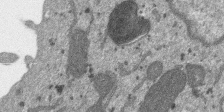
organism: Human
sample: Lung epithelial cells infected with SARS-CoV-2